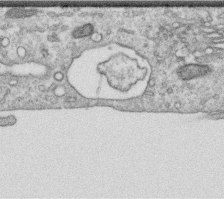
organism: Human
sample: Centriole in RPE cells